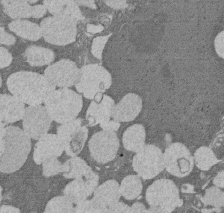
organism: Rat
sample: Salivary granule